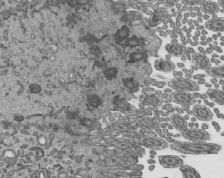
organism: Mouse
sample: Mouse epididymis efferent ductule cilia